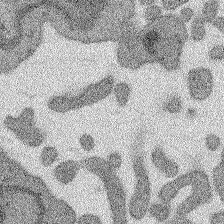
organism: Human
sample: HeLa cells